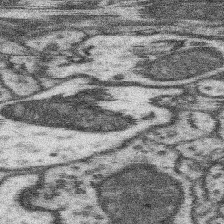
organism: Mouse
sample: Somatosensory cortex neuropil